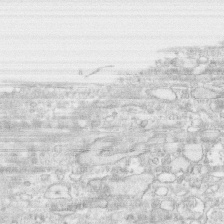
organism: Human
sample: CRL-1474